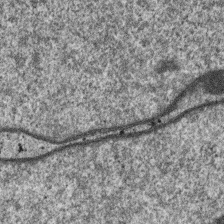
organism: Human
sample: Lung epithelial cells infected with SARS-CoV-2